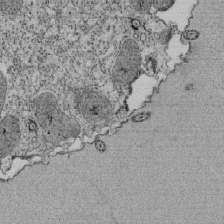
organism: Tetrahymena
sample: Cilia in tetrahymena